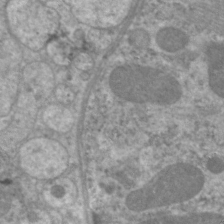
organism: C. elegans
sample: Pharynx